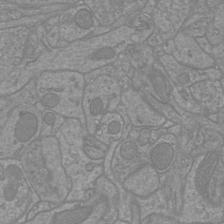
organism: Mouse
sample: Cortical neurons